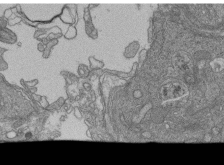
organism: Human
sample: Retinal organoid Rod and Cone cells